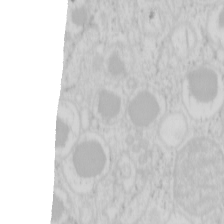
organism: Mouse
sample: Pancreas